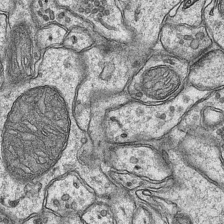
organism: Mouse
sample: CA1 Hippocampus